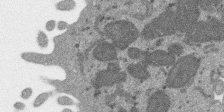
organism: Human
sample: Lung epithelial cells infected with SARS-CoV-2